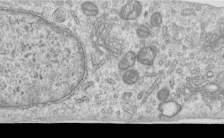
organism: Human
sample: Centriole in RPE cells